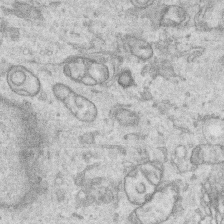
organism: Human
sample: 1205lu cells